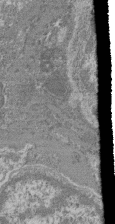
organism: Mouse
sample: Glomerulus